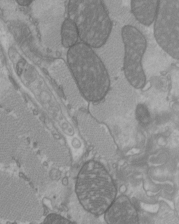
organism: C57BL Mouse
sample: Heart